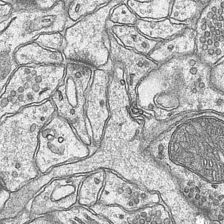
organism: Mouse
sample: CA1 Hippocampus